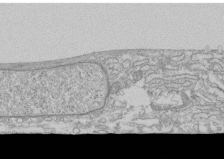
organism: Human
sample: CRL-1474